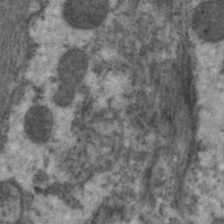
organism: C. elegans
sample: Pharynx